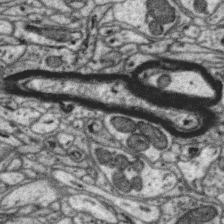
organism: Zebra finch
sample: Brain